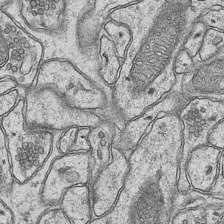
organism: Mouse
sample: CA1 Hippocampus